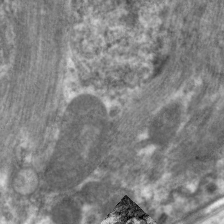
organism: C. elegans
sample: Pharynx